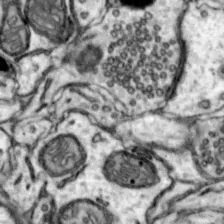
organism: Mouse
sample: Nucleus accumbens